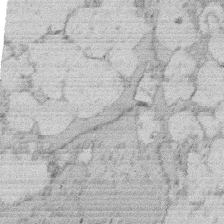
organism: Rat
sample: Salivary granule